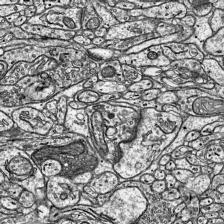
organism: Mouse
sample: Visual Cortex